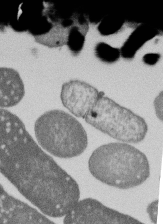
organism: E. coli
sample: Bacterial nucleoid